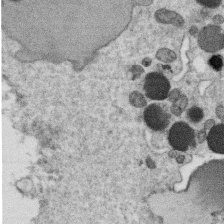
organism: C. elegans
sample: C. elegans oocyte; sperm cells